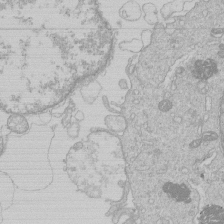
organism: Human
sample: Macrophage cells